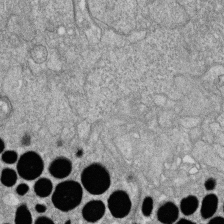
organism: Zebrafish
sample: Cilia; retinal pigment epithelium